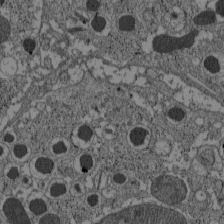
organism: C57BL Mouse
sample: Pancreatic islet